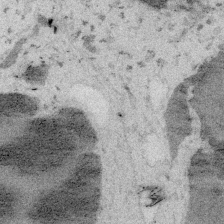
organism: Embia sp.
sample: Silk gland